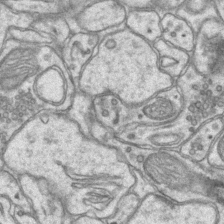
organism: Mouse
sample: CA1 Hippocampus